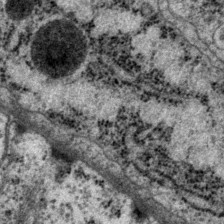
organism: P. pacificus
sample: Pharynx